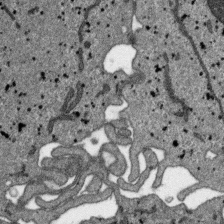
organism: Human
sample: Lung epithelial cells, uninfected (mock) control